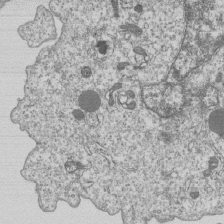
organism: Human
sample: MDA-MB-231 cells